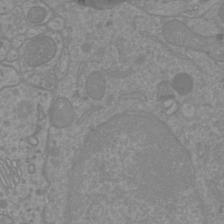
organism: Mouse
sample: Cortical neurons